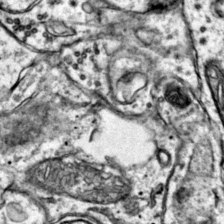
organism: Mouse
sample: Primary visual cortex